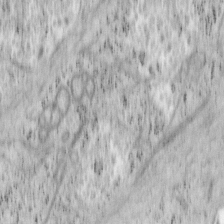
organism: Human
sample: HeLa cells